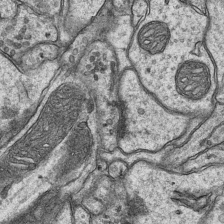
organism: Mouse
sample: CA1 Hippocampus